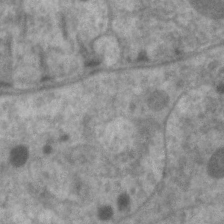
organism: C. elegans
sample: Pharynx